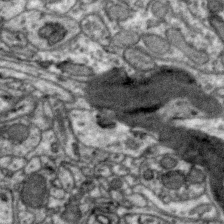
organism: Zebra finch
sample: Brain